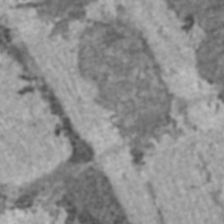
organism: C57BL Mouse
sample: Heart